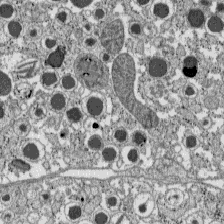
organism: C57BL Mouse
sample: Pancreatic islet